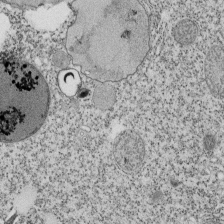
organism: Tetrahymena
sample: Cilia in tetrahymena